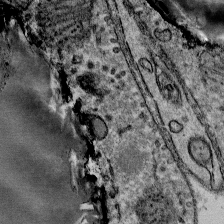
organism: Mouse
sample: Mouse Salivary gland